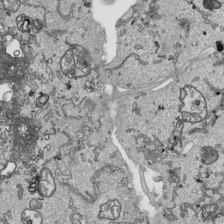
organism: Human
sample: Mitochondria in HCT116 cells